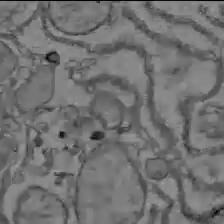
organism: C57BL Mouse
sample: Liver